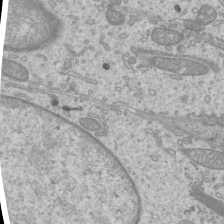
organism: Mouse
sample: Cilia; mouse epididymis